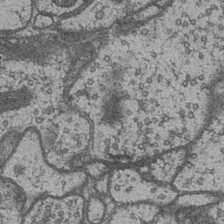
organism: Drosophila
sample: Optic medulla